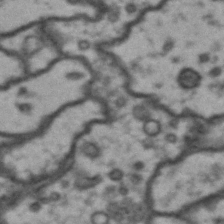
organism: Drosophila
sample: Brain